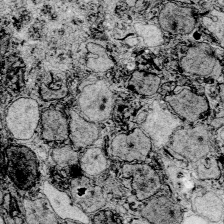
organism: Zebrafish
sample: Whole-Brain